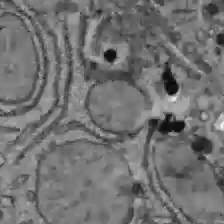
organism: C57BL Mouse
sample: Liver